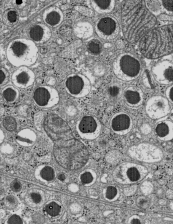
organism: C57BL Mouse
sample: Pancreatic islet